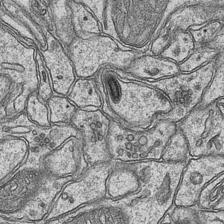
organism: Mouse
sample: CA1 Hippocampus